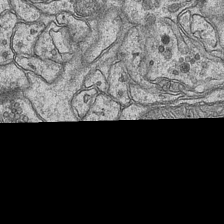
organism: Mouse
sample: CA1 Hippocampus